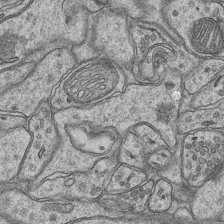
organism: Mouse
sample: CA1 Hippocampus